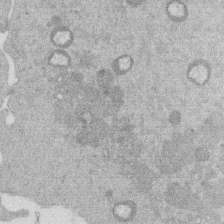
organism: Mouse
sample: Dividing mouse embryo 1 cell stage